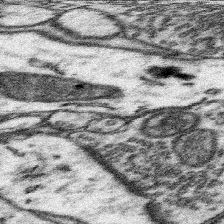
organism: Mouse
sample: Somatosensory cortex neuropil